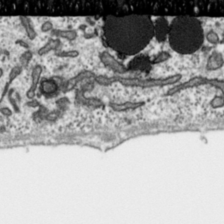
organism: Toxoplasma gondii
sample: Parasites in a vacuole inside a host cell